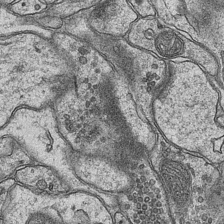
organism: Mouse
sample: CA1 Hippocampus